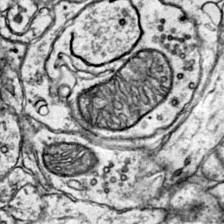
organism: Mouse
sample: Primary visual cortex